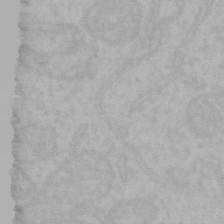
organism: Mouse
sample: Choroid plexus